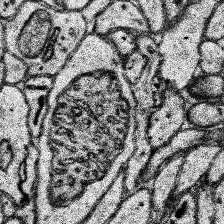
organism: Human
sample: Temporal Lobe